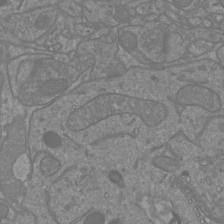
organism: Mouse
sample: Cortical neurons